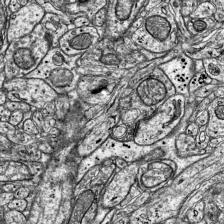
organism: Mouse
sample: Visual Cortex